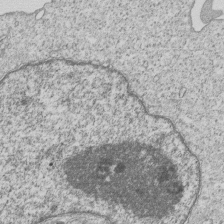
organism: Human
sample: MDA-MB-231 cells